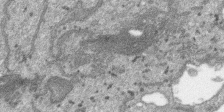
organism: Human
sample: Lung epithelial cells infected with SARS-CoV-2